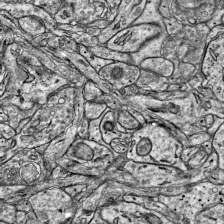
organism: Mouse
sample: Visual Cortex